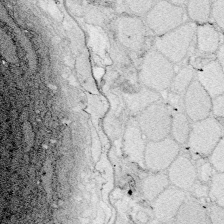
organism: Zebrafish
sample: Whole-Brain